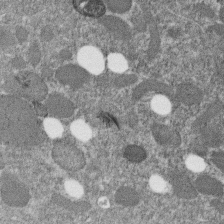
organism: C. elegans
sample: C. elegans embryo early stage